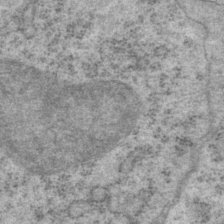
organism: P. pacificus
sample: Pharynx